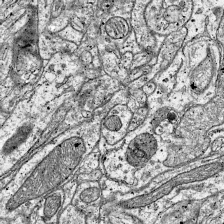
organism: Mouse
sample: Visual Cortex